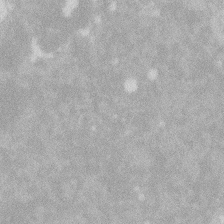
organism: Zebrafish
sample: Macrophage